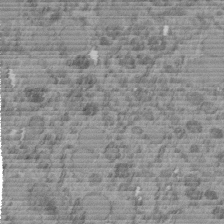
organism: C. elegans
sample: C. elegans embryo early stage